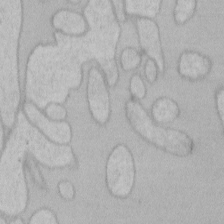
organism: Human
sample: HeLa cells